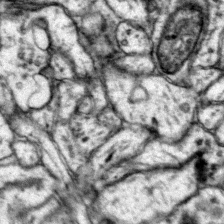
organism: Mouse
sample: Primary visual cortex